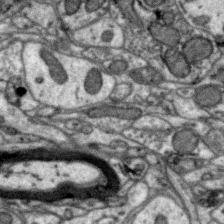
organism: Zebra finch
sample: Brain